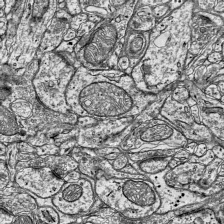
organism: Mouse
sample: Visual Cortex